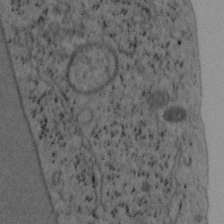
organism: Human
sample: HeLa cells